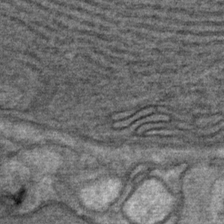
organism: Mouse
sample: Mouse Salivary gland